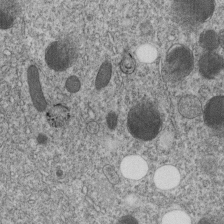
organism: C. elegans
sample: C. elegans embryo early stage